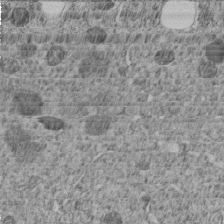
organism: C. elegans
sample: C. elegans embryo early stage